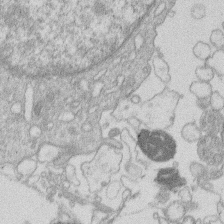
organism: Human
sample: Macrophage cells